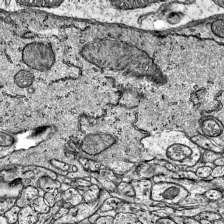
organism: Mouse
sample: Visual Cortex